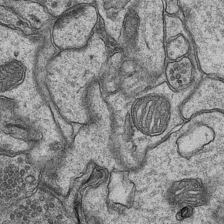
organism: Mouse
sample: CA1 Hippocampus